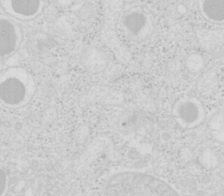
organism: Mouse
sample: Pancreas